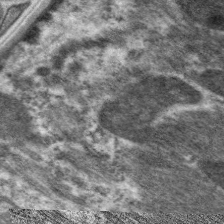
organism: C. elegans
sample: Pharynx